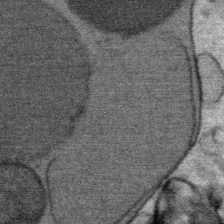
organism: Mouse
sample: Mouse Salivary gland